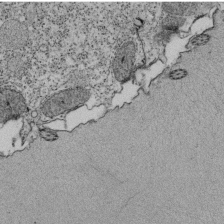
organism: Tetrahymena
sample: Cilia in tetrahymena